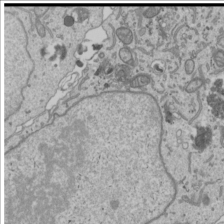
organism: Human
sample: Mitochondria in U2OS cells